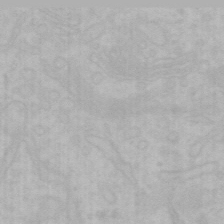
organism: Mouse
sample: Choroid plexus